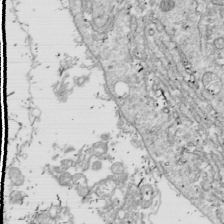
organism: Drosophila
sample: Cell division; meiosis; drosophila spermatocytes